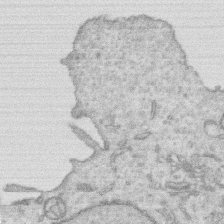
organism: Human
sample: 1205lu cells